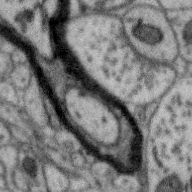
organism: Zebra finch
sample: Brain